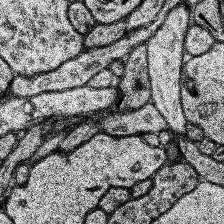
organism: Human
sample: Temporal Lobe